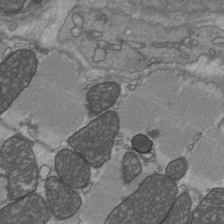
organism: C57BL Mouse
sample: Heart